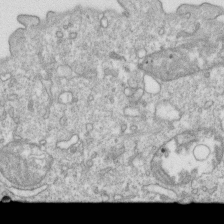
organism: Mouse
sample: Activated OT-1 CD8+ T cells